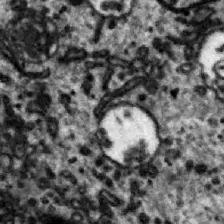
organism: Human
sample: HeLa cells